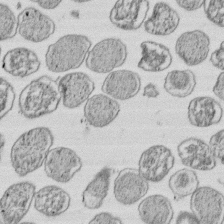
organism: E. coli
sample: Bacterial nucleoid